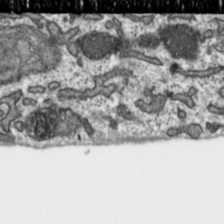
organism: Toxoplasma gondii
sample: Parasites in a vacuole inside a host cell